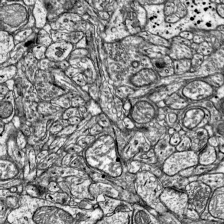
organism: Mouse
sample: Visual Cortex